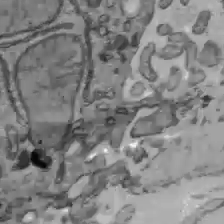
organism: C57BL Mouse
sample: Liver